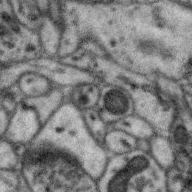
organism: Zebra finch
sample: Brain